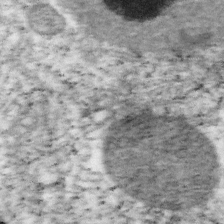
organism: Mouse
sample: OT-I killer T cells with ID8 ovarian cancer cells